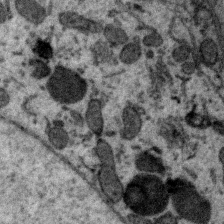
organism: Zebra finch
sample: Brain